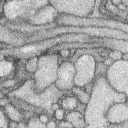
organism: Rabbit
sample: Retina